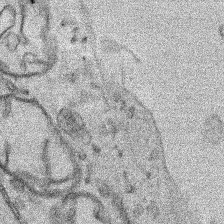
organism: Human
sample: Mitochondria in HCT116 cells